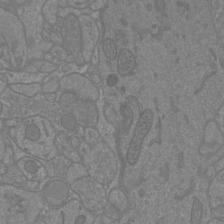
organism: Mouse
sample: Cortical neurons